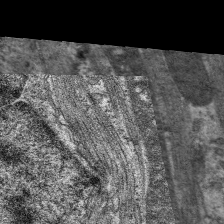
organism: C. elegans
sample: Pharynx